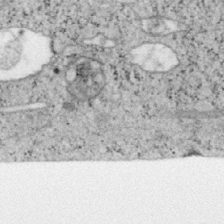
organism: Mouse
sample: OT-I killer T cells with ID8 ovarian cancer cells